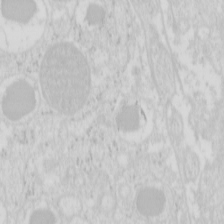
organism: Mouse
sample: Pancreas